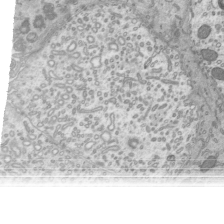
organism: Mouse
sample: Mouse epididymis efferent ductule cilia